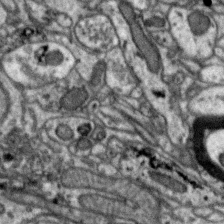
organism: Zebra finch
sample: Brain